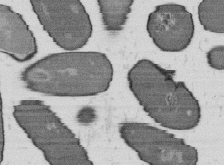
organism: B. subtilis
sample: Bacterial spore